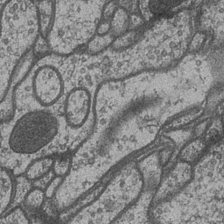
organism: Drosophila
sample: Optic medulla